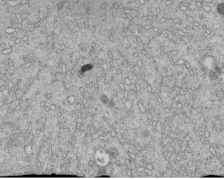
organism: C. elegans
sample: C. elegans embryo early stage